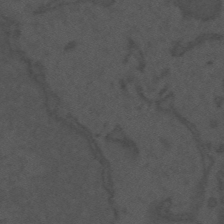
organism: Mouse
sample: Suprachiasmatic nucleus